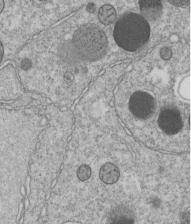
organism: C. elegans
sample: C. elegans embryo early stage